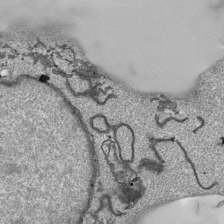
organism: Human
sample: Mitochondria in HCT116 cells